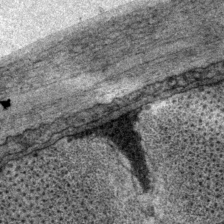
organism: P. pacificus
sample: Pharynx